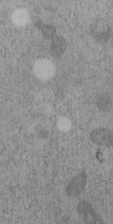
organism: C. elegans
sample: C. elegans embryo early stage